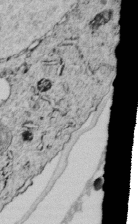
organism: C. elegans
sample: C. elegans embryo early stage